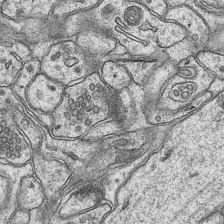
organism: Mouse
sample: CA1 Hippocampus